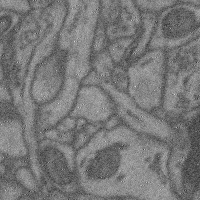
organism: Mouse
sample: Cerebral cortex